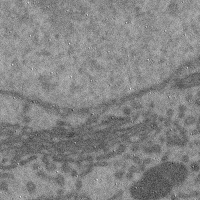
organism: Mouse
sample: Cerebral cortex